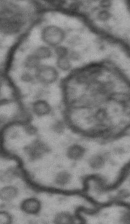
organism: Drosophila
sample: Brain